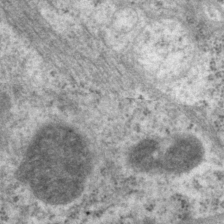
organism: P. pacificus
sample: Pharynx